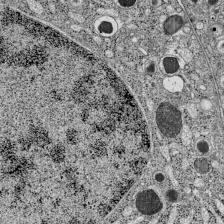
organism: C57BL Mouse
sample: Pancreatic islet